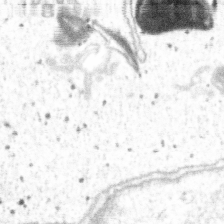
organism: Human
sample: HeLa cells